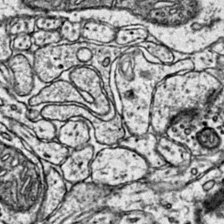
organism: Mouse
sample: Primary visual cortex